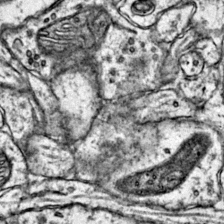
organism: Mouse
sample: Primary visual cortex